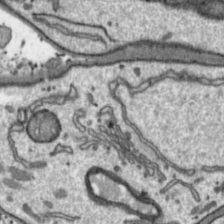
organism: Toxoplasma gondii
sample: Parasites in a vacuole inside a host cell